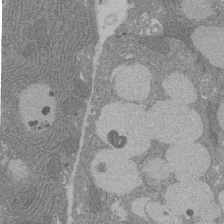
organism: Rat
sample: Salivary granule